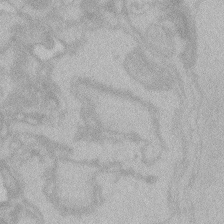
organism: Zebrafish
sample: Macrophage infected with Toxoplasma gondii